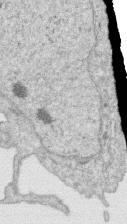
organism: Human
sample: HeLa cell HIV synapse